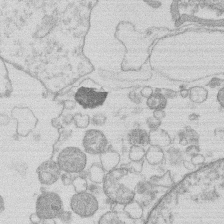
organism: Human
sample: Macrophage cells